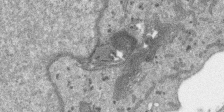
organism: Human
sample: Lung epithelial cells infected with SARS-CoV-2